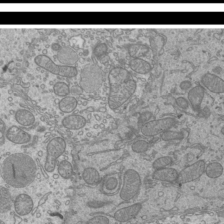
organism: Mouse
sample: Cilia; mouse epididymis